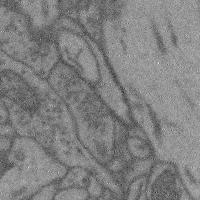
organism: Mouse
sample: Cerebral cortex